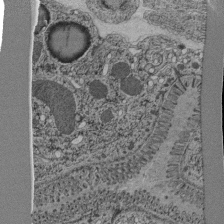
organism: C. elegans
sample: C. elegans pharynx